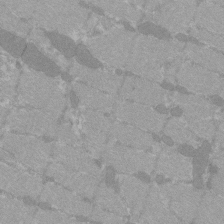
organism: C57BL Mouse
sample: Tibialis anterior muscle cell